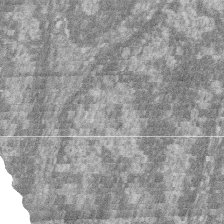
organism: Zebrafish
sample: Cilia; retinal pigment epithelium